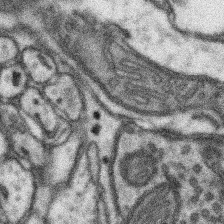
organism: Mouse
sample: Somatosensory cortex neuropil